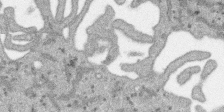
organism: Human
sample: Lung epithelial cells infected with SARS-CoV-2